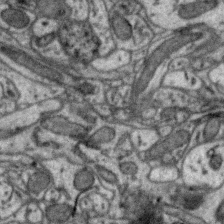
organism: Zebra finch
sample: Brain